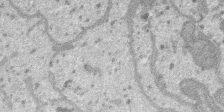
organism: Human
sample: Lung epithelial cells infected with SARS-CoV-2